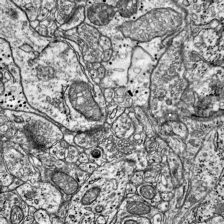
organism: Mouse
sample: Visual Cortex